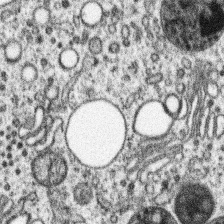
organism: Human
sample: HeLa cells